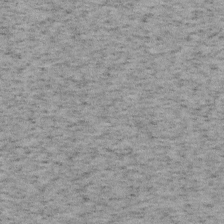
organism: Mouse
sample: OT-I killer T cells with ID8 ovarian cancer cells